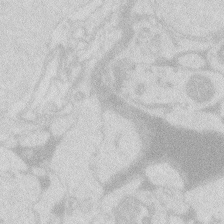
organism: Zebrafish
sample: Macrophage